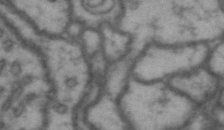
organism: Drosophila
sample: Brain